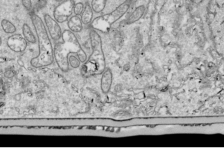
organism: Drosophila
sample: Cell division; meiosis; drosophila spermatocytes